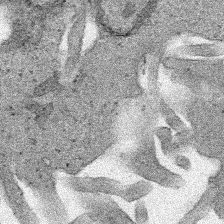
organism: Human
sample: Mitochondria in HCT116 cells